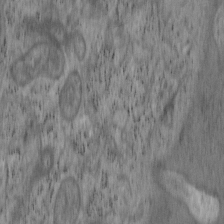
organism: Human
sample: HeLa cells